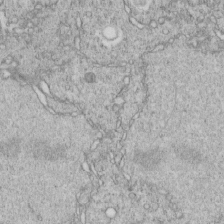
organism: C. elegans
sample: C. elegans embryo early stage